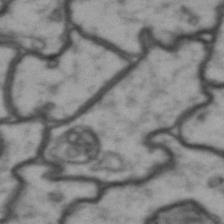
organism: Drosophila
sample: Brain